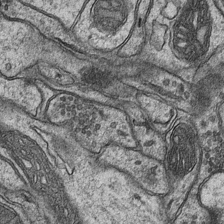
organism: Mouse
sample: CA1 Hippocampus